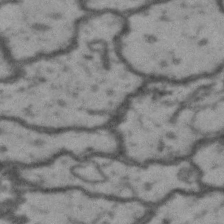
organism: Drosophila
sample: Brain